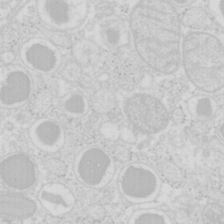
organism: Mouse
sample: Pancreas